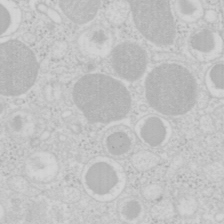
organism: Mouse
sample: Pancreas